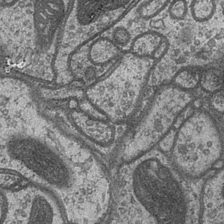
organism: Drosophila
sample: Optic medulla